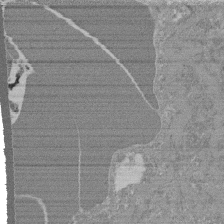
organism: Mouse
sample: Glomerulus